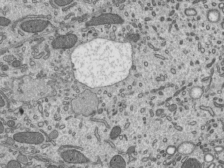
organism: Mouse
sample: Mouse epididymis efferent ductule cilia